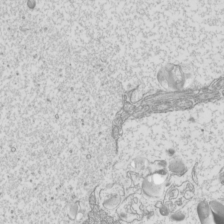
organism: Mouse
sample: Cilia; mouse epididymis